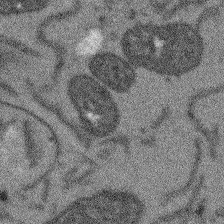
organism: Arabidopsis thaliana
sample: Root tip